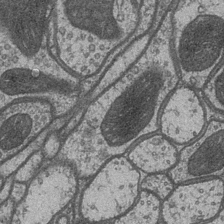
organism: Drosophila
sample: Optic medulla